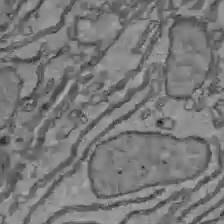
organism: C57BL Mouse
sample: Liver